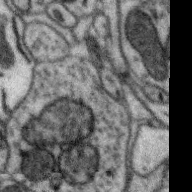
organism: Zebra finch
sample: Brain